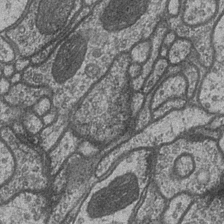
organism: Drosophila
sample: Optic medulla